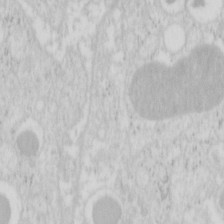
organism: Mouse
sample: Pancreas